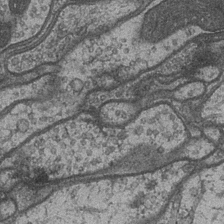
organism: Drosophila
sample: Optic medulla